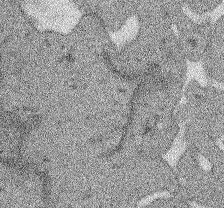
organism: Human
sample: HeLa cells